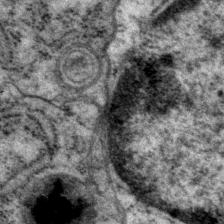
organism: P. pacificus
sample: Pharynx